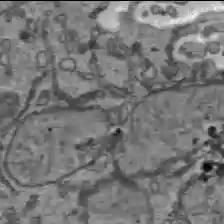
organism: C57BL Mouse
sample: Liver